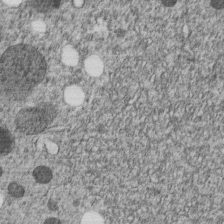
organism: C. elegans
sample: C. elegans embryo early stage